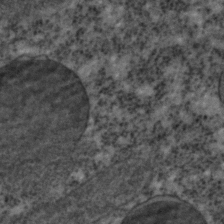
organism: C. elegans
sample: C. elegans embryo